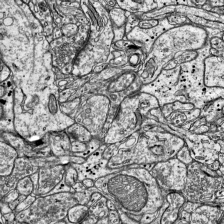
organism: Mouse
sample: Visual Cortex